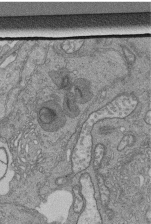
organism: Human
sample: Retinal organoid Rod and Cone cells